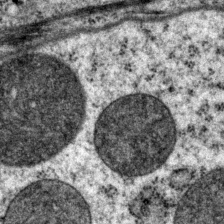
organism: P. pacificus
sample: Pharynx